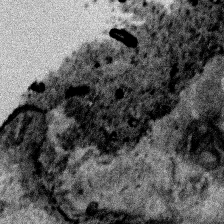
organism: Human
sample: Mitochondria in HCT116 cells